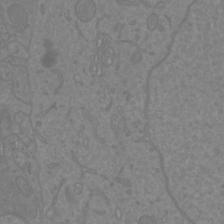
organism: Mouse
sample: Cortical neurons